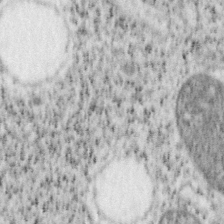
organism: Mouse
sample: OT-I killer T cells with ID8 ovarian cancer cells